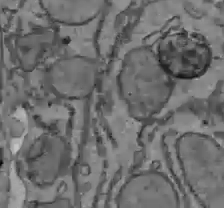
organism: C57BL Mouse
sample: Liver